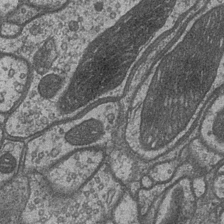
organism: Drosophila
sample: Optic medulla